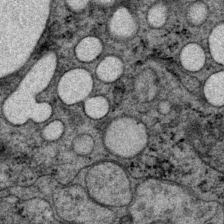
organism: P. pacificus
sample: Pharynx